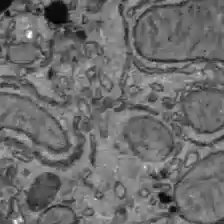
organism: C57BL Mouse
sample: Liver